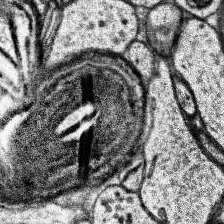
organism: Human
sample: Temporal Lobe